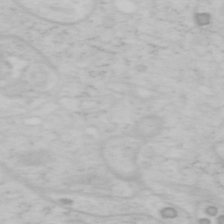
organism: Mouse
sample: OT-I killer T cells with ID8 ovarian cancer cells